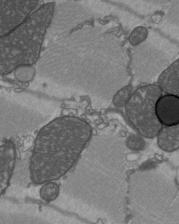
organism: C57BL Mouse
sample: Heart